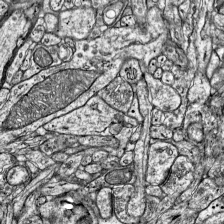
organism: Mouse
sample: Visual Cortex